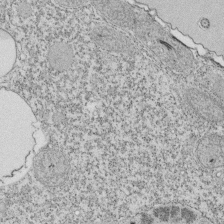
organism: Tetrahymena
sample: Cilia in tetrahymena